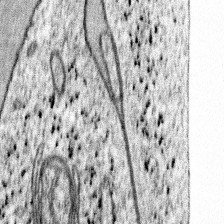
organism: Human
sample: HeLa cells